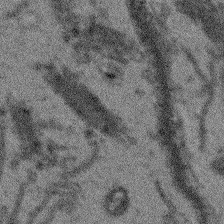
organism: Arabidopsis thaliana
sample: Root tip